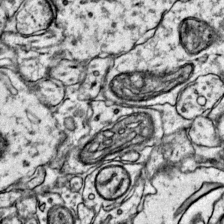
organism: Mouse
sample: Primary visual cortex